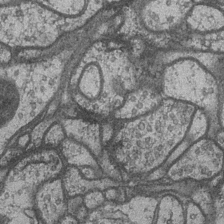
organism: Drosophila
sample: Optic medulla